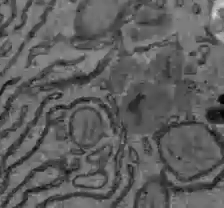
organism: C57BL Mouse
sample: Liver